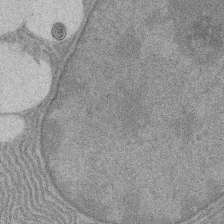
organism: Rat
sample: Salivary granule